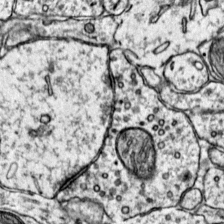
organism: Mouse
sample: Primary visual cortex